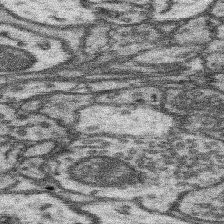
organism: Mouse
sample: Somatosensory cortex neuropil